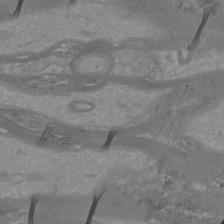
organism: Mouse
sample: Cortical neurons